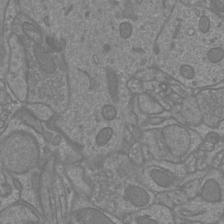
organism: Mouse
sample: Cortical neurons